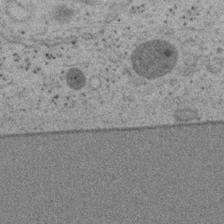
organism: Human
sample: HeLa cells